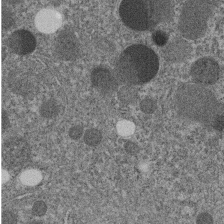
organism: C. elegans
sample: C. elegans embryo early stage